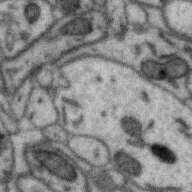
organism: Zebra finch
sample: Brain